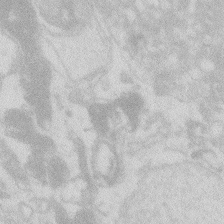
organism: Zebrafish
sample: Macrophage